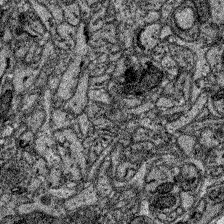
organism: Zebrafish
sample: Larval olfactory bulb